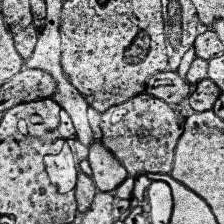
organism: Human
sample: Temporal Lobe